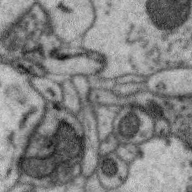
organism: Zebra finch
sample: Brain